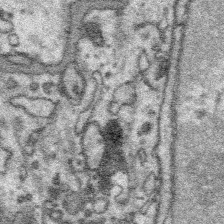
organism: Platynereis dumerilii